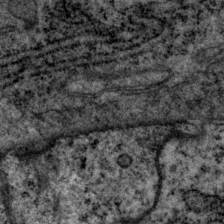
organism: P. pacificus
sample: Pharynx